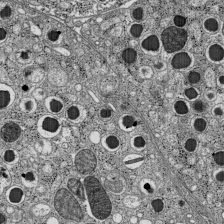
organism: C57BL Mouse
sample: Pancreatic islet